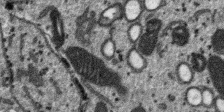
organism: Human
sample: Lung epithelial cells infected with SARS-CoV-2